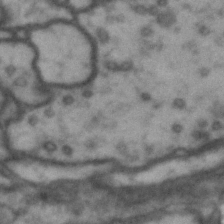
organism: Drosophila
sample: Brain